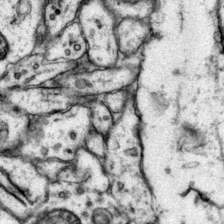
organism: Mouse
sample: Primary visual cortex